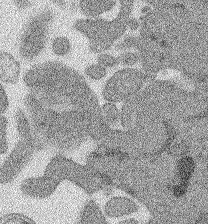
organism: Human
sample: HeLa cells